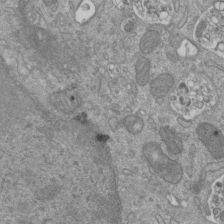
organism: Mouse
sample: ED-1 cell nuclei; centrioles